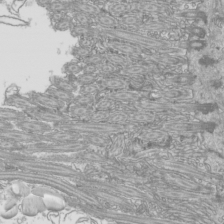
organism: Mouse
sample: Cilia; mouse epididymis